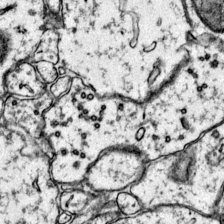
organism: Mouse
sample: Primary visual cortex